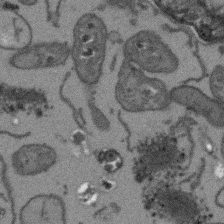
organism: Arabidopsis thaliana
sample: Root tip